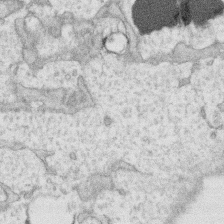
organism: Human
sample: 1205lu cells